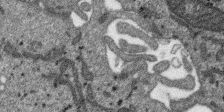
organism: Human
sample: Lung epithelial cells infected with SARS-CoV-2